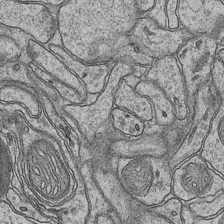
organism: Mouse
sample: CA1 Hippocampus